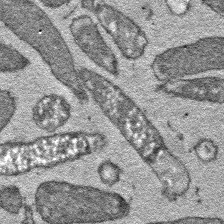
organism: E. coli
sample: E. Coli Bacteria